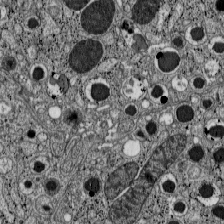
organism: C57BL Mouse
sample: Pancreatic islet